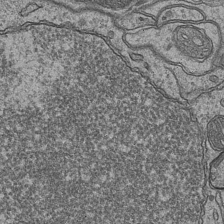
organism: Mouse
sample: CA1 Hippocampus